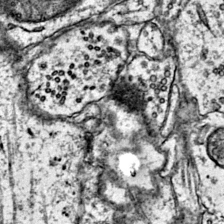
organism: Mouse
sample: Primary visual cortex